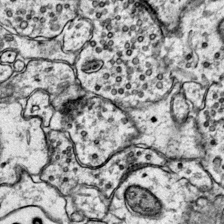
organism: Mouse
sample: Primary visual cortex